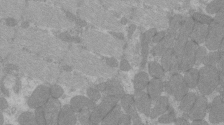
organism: C57BL Mouse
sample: Tibialis anterior muscle cell